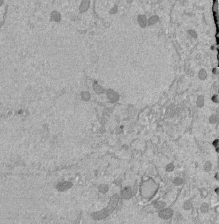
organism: Mouse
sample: ED-1 cell nuclei; centrioles